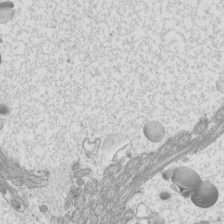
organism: Mouse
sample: Cilia; mouse epididymis